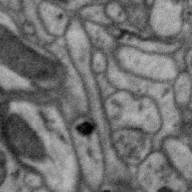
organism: Zebra finch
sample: Brain